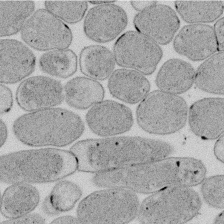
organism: E. coli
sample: Bacterial nucleoid